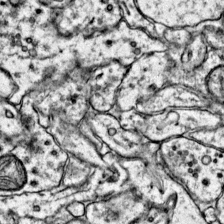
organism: Mouse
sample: Primary visual cortex